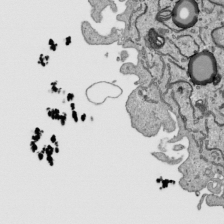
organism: Human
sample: Mitochondria in HCT116 cells